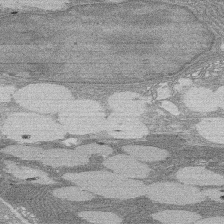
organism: Rat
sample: Salivary granule